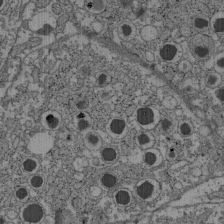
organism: C57BL Mouse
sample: Pancreatic islet